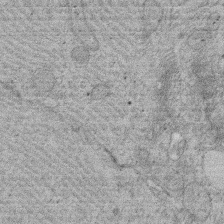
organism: Rat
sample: Salivary granule